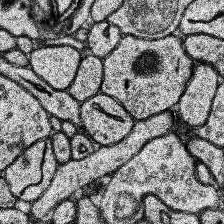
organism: Human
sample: Temporal Lobe